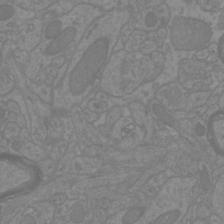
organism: Mouse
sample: Cortical neurons